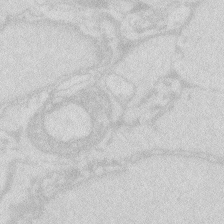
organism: Zebrafish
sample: Macrophage